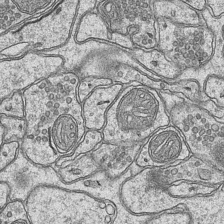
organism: Mouse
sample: CA1 Hippocampus